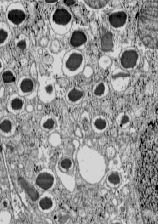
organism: C57BL Mouse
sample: Pancreatic islet